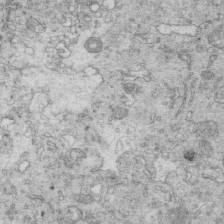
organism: Mouse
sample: Multiciliated cells